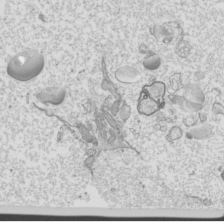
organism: Mouse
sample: Cilia; mouse epididymis